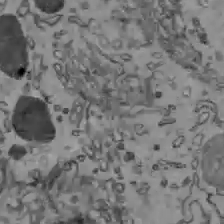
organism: C57BL Mouse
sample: Liver